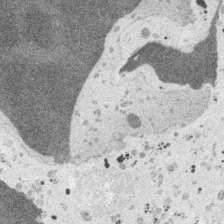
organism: Embia sp.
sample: Silk gland